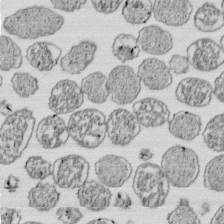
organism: E. coli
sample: Bacterial nucleoid